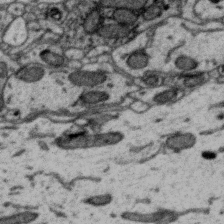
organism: Zebra finch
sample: Brain